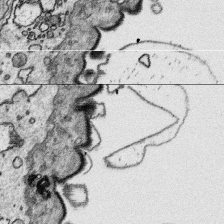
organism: Platynereis dumerilii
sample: Parapodia